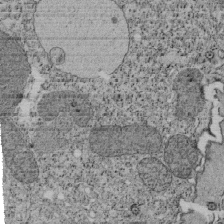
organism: Tetrahymena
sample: Cilia in tetrahymena